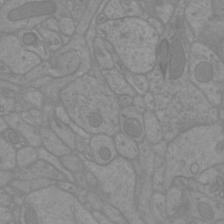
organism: Mouse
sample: Cortical neurons